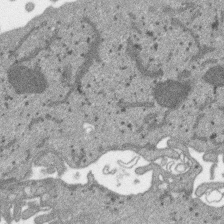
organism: Human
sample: Lung epithelial cells infected with SARS-CoV-2